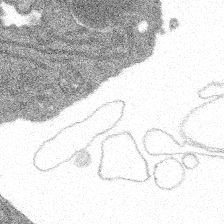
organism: Spongilla lacustris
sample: Multiple